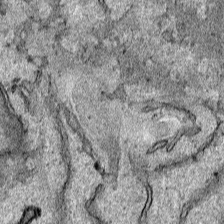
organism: Human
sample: Mitochondria in HCT116 cells